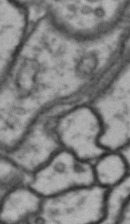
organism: Drosophila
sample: Brain